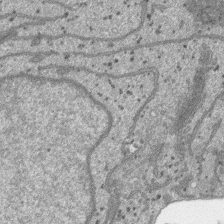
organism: Human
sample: Lung epithelial cells infected with SARS-CoV-2